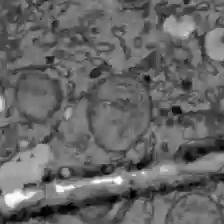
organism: C57BL Mouse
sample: Liver